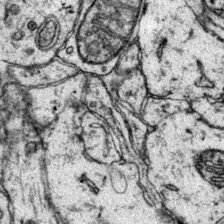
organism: Mouse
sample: Primary visual cortex